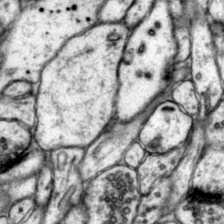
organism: Mouse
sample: Primary visual cortex